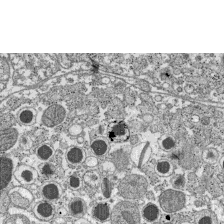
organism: C57BL Mouse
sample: Pancreatic islet